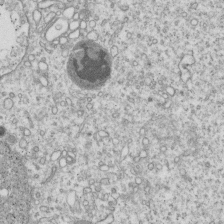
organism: Human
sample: MDA-MB-231 cells